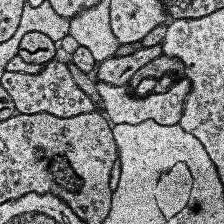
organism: Human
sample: Temporal Lobe